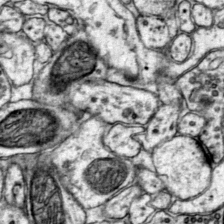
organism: Mouse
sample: Primary visual cortex